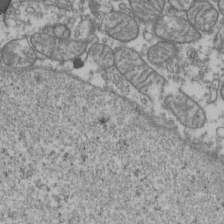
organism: Human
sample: Activated Jurkat CD4+ T cells